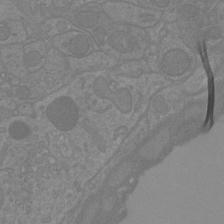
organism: Mouse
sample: Cortical neurons